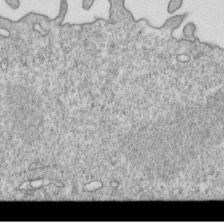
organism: Mouse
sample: Activated OT-1 CD8+ T cells